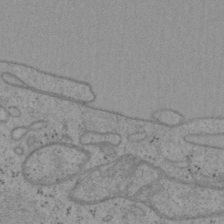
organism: Human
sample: HeLa cells